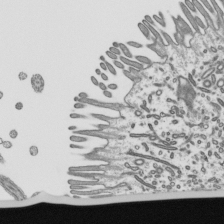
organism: Mouse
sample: Mouse epididymis efferent ductule cilia